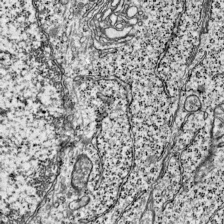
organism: Mouse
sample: Visual Cortex